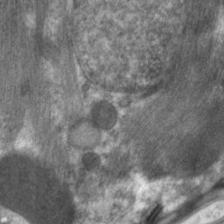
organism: C. elegans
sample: Pharynx